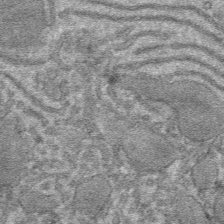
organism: Mouse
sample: Mouse hepatocytes